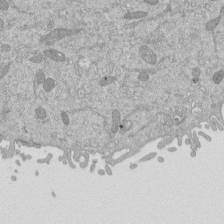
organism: Mouse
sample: ED-1 cell nuclei; centrioles